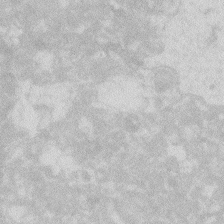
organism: Zebrafish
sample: Macrophage